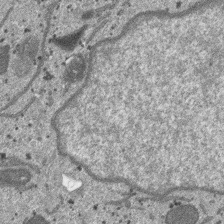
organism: Human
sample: Lung epithelial cells infected with SARS-CoV-2